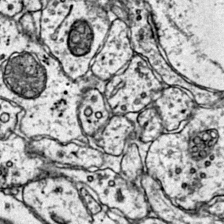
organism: Mouse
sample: Primary visual cortex